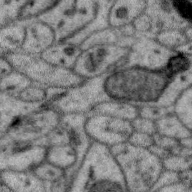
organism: Zebra finch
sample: Brain